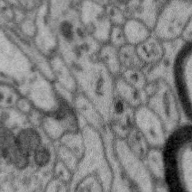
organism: Zebra finch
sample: Brain